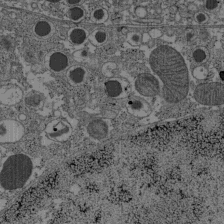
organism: C57BL Mouse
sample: Pancreatic islet